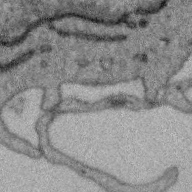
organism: Zebra finch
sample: Brain